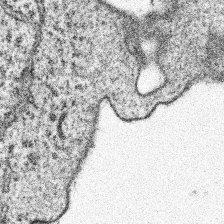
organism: Human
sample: HeLa cells